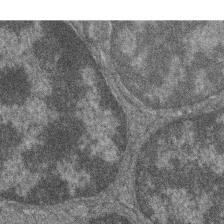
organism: Zebrafish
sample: Cilia; retinal pigment epithelium